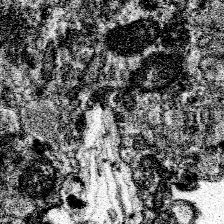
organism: Spongilla lacustris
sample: Neuroid cell